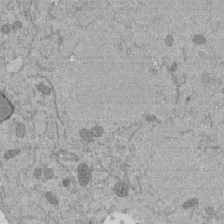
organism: Mouse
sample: ED-1 cell nuclei; centrioles